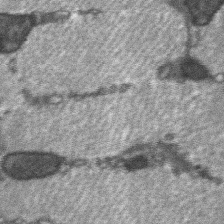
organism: C57BL Mouse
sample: Soleus